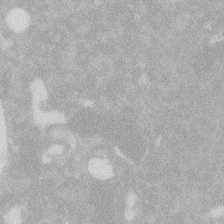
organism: Zebrafish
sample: Macrophage